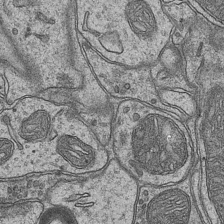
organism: Mouse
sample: CA1 Hippocampus